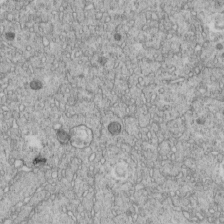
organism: C. elegans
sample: C. elegans embryo early stage